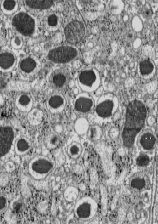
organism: C57BL Mouse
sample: Pancreatic islet